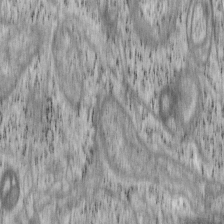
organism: Human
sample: HeLa cells